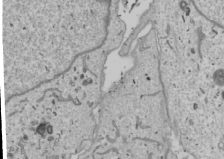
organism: Human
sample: Mitochondria in U2OS cells